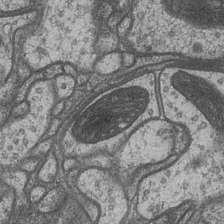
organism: Drosophila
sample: Optic medulla